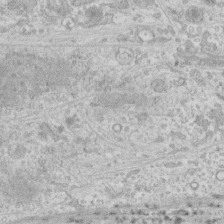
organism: Human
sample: CRL-1474